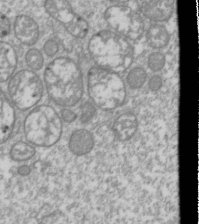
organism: Drosophila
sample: Cell division; meiosis; drosophila spermatocytes